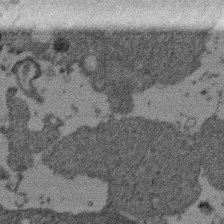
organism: Mouse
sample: Dividing mouse embryo 1 cell stage